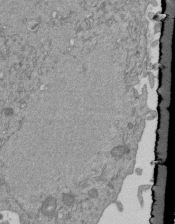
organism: Mouse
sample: ED-1 cell nuclei; centrioles